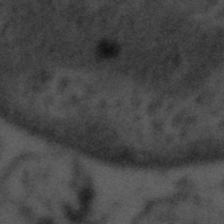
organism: Tuwongella immobilis